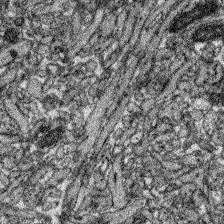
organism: Zebrafish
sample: Larval olfactory bulb